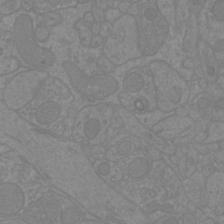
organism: Mouse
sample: Cortical neurons